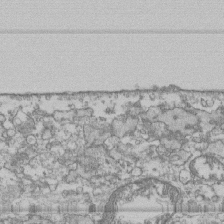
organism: Human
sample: Fibroblast cells